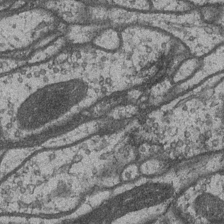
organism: Drosophila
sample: Optic medulla